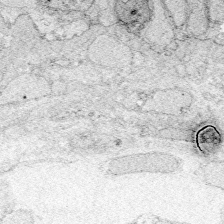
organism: Zebrafish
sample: Whole-Brain